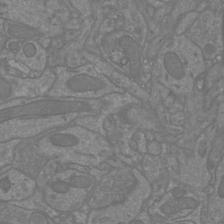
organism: Mouse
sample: Cortical neurons